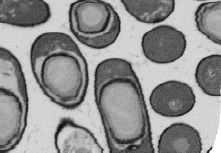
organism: B. subtilis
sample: Bacterial spore